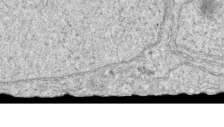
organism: Human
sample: HeLa cell HIV synapse